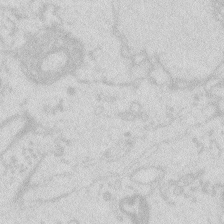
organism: Zebrafish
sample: Macrophage